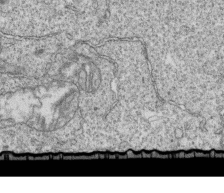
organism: Human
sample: HeLa cell HIV synapse